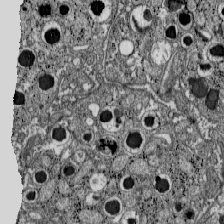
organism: C57BL Mouse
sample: Pancreatic islet